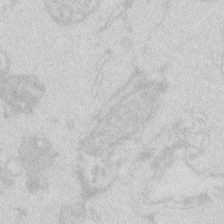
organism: Zebrafish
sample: Macrophage